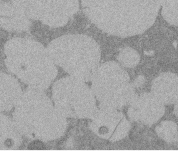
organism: Rat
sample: Salivary granule